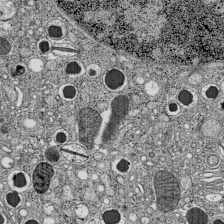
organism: C57BL Mouse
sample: Pancreatic islet